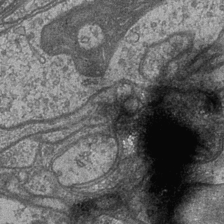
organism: Drosophila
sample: Optic medulla